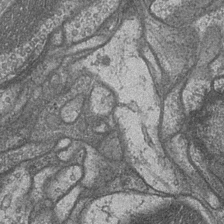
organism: Drosophila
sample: Optic medulla